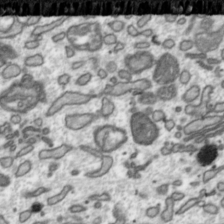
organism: Toxoplasma gondii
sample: Parasites in a vacuole inside a host cell